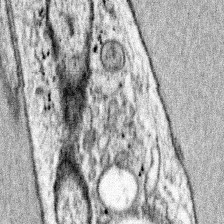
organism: Human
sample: HeLa cells